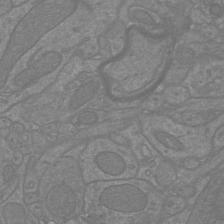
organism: Mouse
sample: Cortical neurons